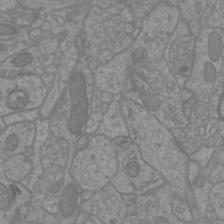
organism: Mouse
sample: Cortical neurons